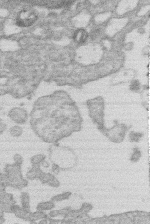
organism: Human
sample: Macrophage cells